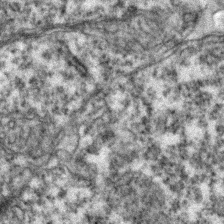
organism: Zebrafish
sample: Zebrafish embryo